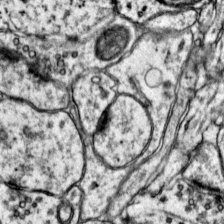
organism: Mouse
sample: Primary visual cortex